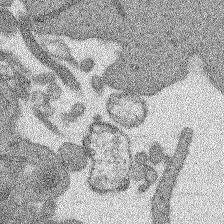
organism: Human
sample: HeLa cells